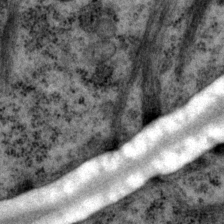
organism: P. pacificus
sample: Pharynx